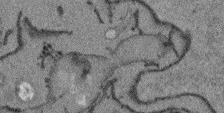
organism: Arabidopsis thaliana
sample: Root tip